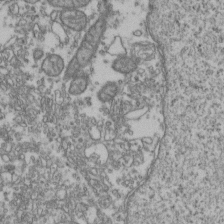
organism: Human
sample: Activated Jurkat CD4+ T cells